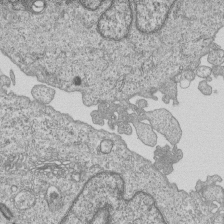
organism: Human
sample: MDA-MB-231 cells